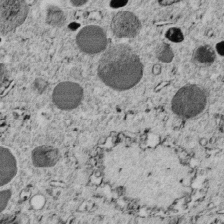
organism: C. elegans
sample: C. elegans embryo early stage